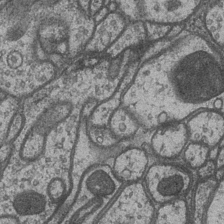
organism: Drosophila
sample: Optic medulla